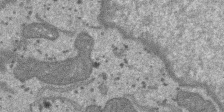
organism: Human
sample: Lung epithelial cells infected with SARS-CoV-2